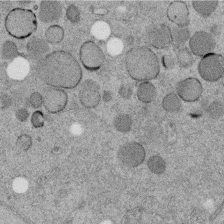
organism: C. elegans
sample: C. elegans embryo early stage